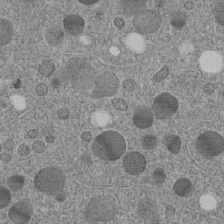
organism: C. elegans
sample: C. elegans embryo early stage